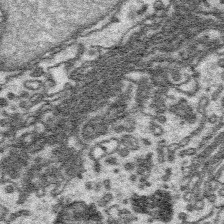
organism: Platynereis dumerilii